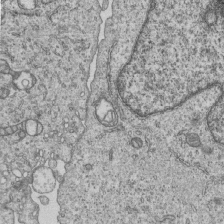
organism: Human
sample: MDA-MB-231 cells